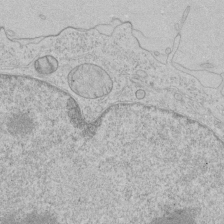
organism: Human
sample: Mitochondria in HCT116 cells